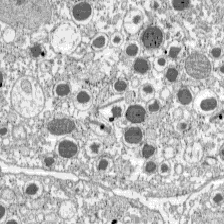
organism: C57BL Mouse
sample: Pancreatic islet